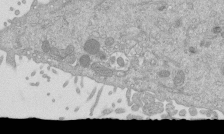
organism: Mouse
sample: ED-1 cell nuclei; centrioles